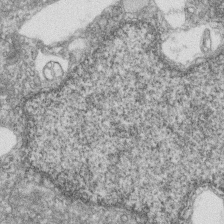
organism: Zebrafish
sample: Cilia; retinal pigment epithelium